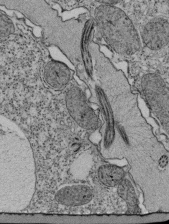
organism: Tetrahymena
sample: Cilia in tetrahymena